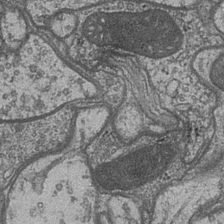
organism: Drosophila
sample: Optic medulla